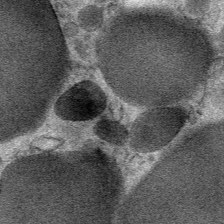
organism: Mouse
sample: Mouse Salivary gland